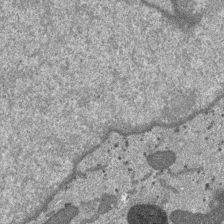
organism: Human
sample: Lung epithelial cells infected with SARS-CoV-2